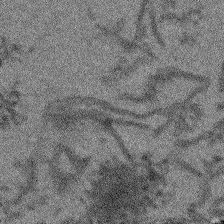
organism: Arabidopsis thaliana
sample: Root tip